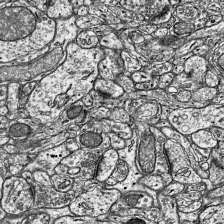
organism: Mouse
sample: Visual Cortex